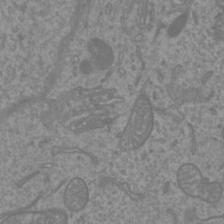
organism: Mouse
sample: Cortical neurons